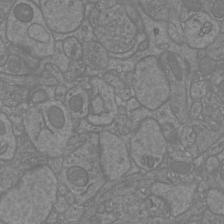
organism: Mouse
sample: Cortical neurons